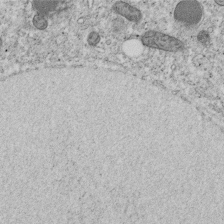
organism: C. elegans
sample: C. elegans embryo early stage